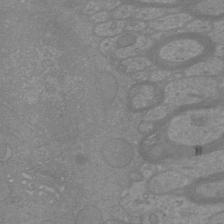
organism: Mouse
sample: Cortical neurons